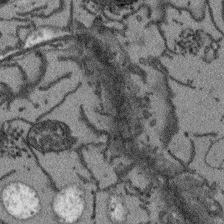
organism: Arabidopsis thaliana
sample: Root tip